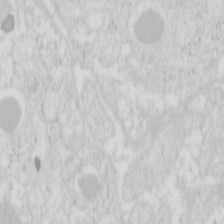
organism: Mouse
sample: Pancreas